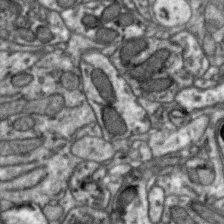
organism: Zebra finch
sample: Brain